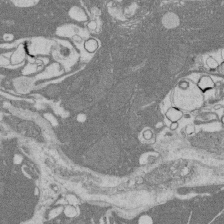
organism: Rat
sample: Salivary granule